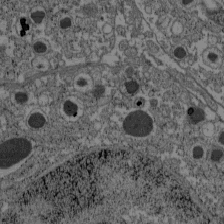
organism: C57BL Mouse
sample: Pancreatic islet